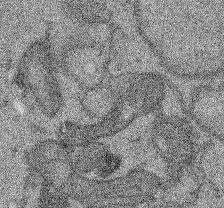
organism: Human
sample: HeLa cells